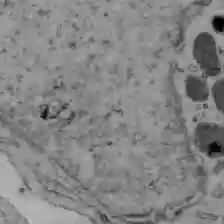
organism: C57BL Mouse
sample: Liver